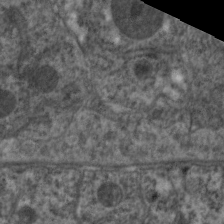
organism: C. elegans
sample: Pharynx